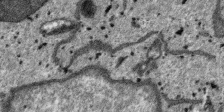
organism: Human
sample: Lung epithelial cells, uninfected (mock) control